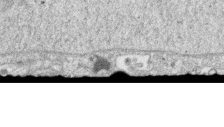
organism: Human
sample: HeLa cell HIV synapse